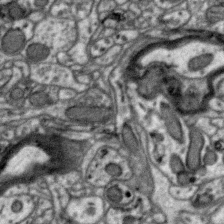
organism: Zebra finch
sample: Brain